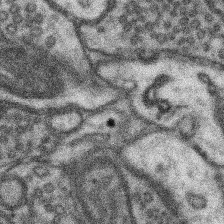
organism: Mouse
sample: Somatosensory cortex neuropil